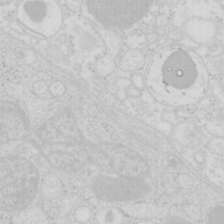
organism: Mouse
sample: Pancreas